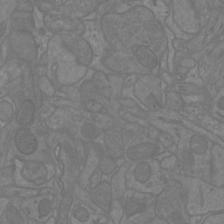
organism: Mouse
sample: Cortical neurons